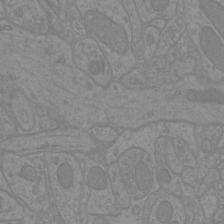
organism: Mouse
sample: Cortical neurons